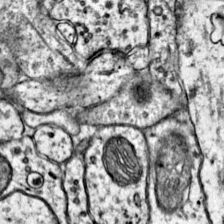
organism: Mouse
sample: Primary visual cortex